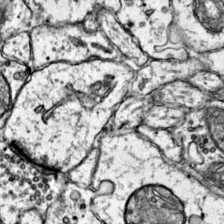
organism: Mouse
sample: Primary visual cortex